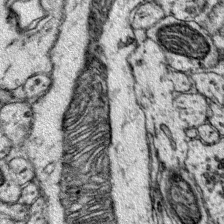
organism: Mouse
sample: Primary visual cortex